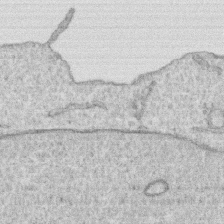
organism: Human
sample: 1205lu cells